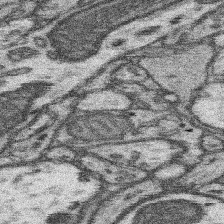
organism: Mouse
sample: Somatosensory cortex neuropil